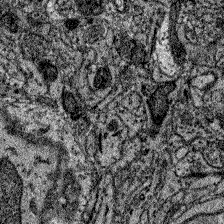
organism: Zebrafish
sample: Larval olfactory bulb